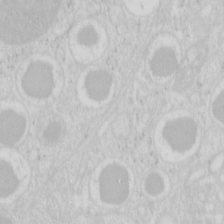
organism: Mouse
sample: Pancreas